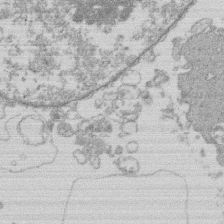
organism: Human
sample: Macrophage cells